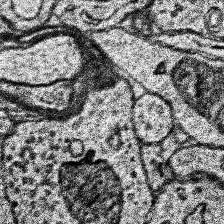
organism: Human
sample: Temporal Lobe